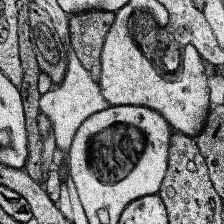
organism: Human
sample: Temporal Lobe